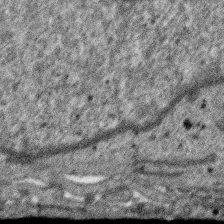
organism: Human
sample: Lung epithelial cells infected with SARS-CoV-2